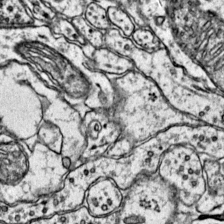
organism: Mouse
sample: Primary visual cortex